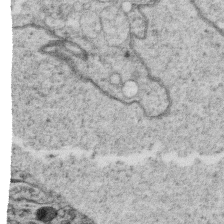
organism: C. elegans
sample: C. elegans oocyte; sperm cells